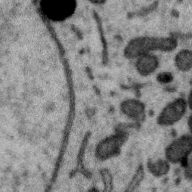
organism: Zebra finch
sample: Brain